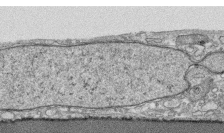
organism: Human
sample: CRL-1474